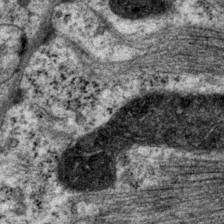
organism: P. pacificus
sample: Pharynx